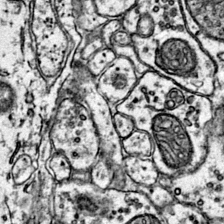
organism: Mouse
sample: Primary visual cortex